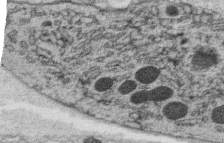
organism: C. elegans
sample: C. elegans oocyte; sperm cells